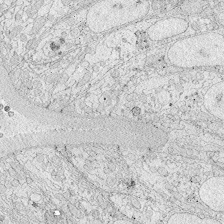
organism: Zebrafish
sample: Whole-Brain